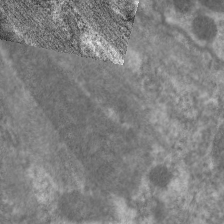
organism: C. elegans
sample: Pharynx